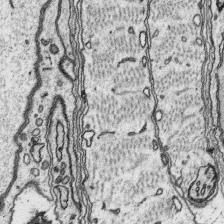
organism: Platynereis dumerilii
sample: Parapodia